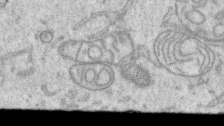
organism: Human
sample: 1205lu cells